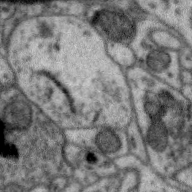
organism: Zebra finch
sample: Brain